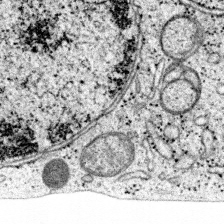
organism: Human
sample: HeLa cells